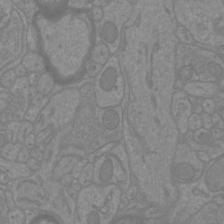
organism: Mouse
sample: Cortical neurons